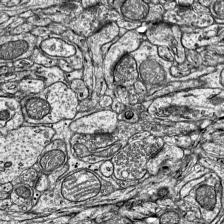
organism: Mouse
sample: Visual Cortex